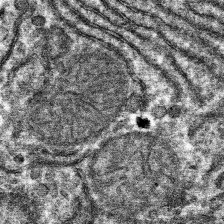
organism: Mouse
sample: Mouse hepatocytes